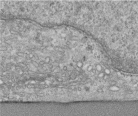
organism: Human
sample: Centriole in RPE cells